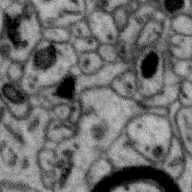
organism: Zebra finch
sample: Brain